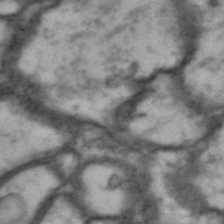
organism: Drosophila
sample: Brain